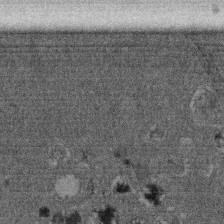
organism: Mouse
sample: Dividing mouse embryo 1 cell stage